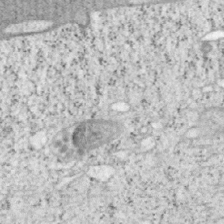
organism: Mouse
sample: OT-I killer T cells with ID8 ovarian cancer cells